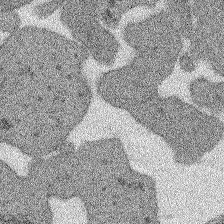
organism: Human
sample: HeLa cells